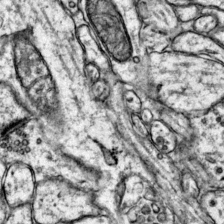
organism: Mouse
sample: Primary visual cortex